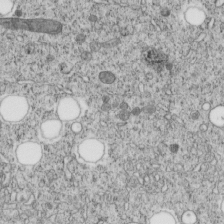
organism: C. elegans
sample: C. elegans embryo early stage